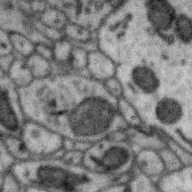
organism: Zebra finch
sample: Brain